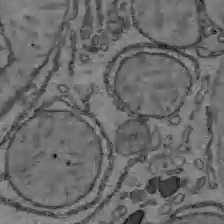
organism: C57BL Mouse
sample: Liver